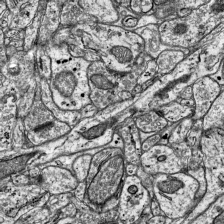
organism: Mouse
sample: Visual Cortex